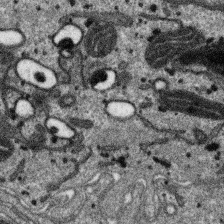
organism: Human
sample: Lung epithelial cells infected with SARS-CoV-2